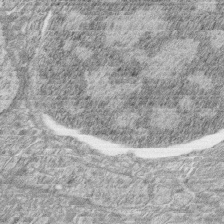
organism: Zebrafish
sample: synaptic ribbons in rod cells and cone cells